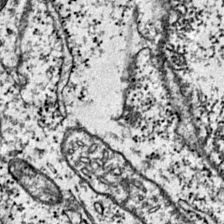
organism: Mouse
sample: Primary visual cortex